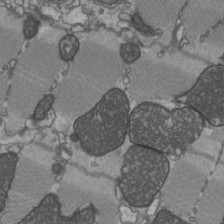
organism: C57BL Mouse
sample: Heart